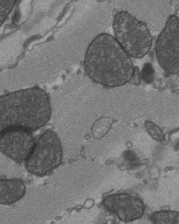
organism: C57BL Mouse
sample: Heart